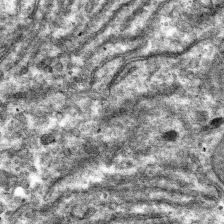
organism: Mouse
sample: Mouse hepatocytes